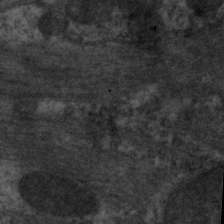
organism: C. elegans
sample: Pharynx